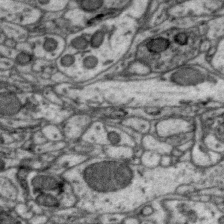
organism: Zebra finch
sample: Brain